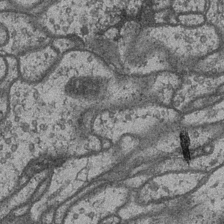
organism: Drosophila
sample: Optic medulla